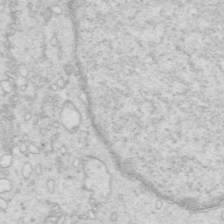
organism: Mouse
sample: Multiciliated cells